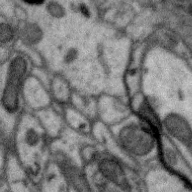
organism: Zebra finch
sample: Brain